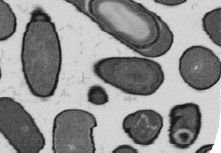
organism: B. subtilis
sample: Bacterial spore